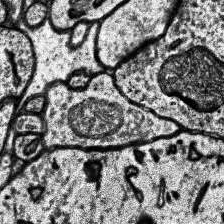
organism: Human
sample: Temporal Lobe